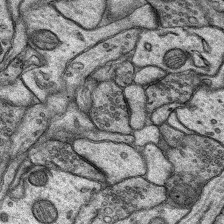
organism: Rat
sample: Hippocampus